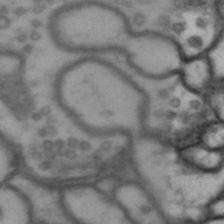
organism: Drosophila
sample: Brain